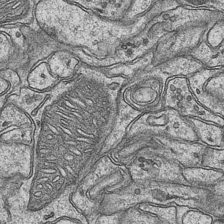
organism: Mouse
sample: CA1 Hippocampus